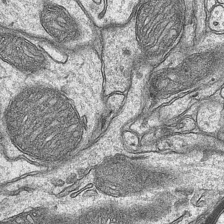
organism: Mouse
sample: CA1 Hippocampus